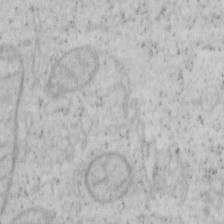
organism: Human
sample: HeLa cells